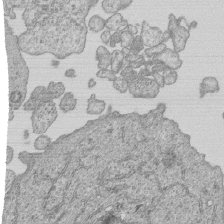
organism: Human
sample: MDA-MB-231 cells